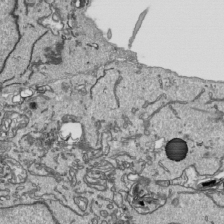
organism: Human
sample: Mitochondria in HCT116 cells